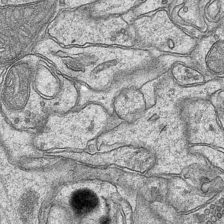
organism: Mouse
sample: CA1 Hippocampus